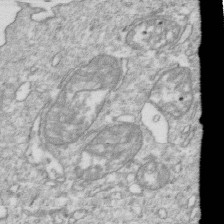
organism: Mouse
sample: Activated OT-1 CD8+ T cells